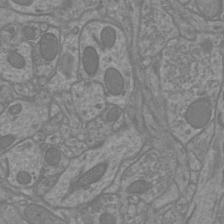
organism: Mouse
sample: Cortical neurons